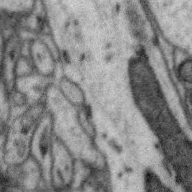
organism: Zebra finch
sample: Brain